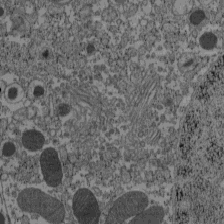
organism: C57BL Mouse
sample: Pancreatic islet